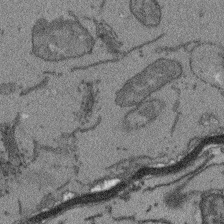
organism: Arabidopsis thaliana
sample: Root tip